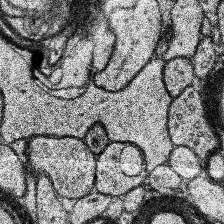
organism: Human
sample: Temporal Lobe